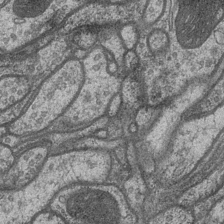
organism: Drosophila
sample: Optic medulla